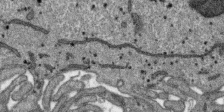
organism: Human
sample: Lung epithelial cells, uninfected (mock) control